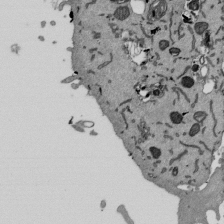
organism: Mouse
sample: ED-1 cell nuclei; centrioles